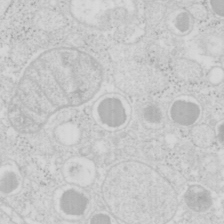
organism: Mouse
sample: Pancreas